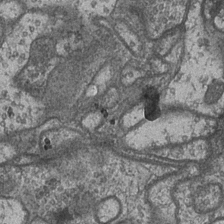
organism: Drosophila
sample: Optic medulla